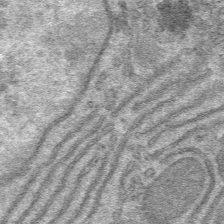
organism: Mouse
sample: Mouse hepatocytes